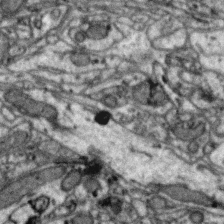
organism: Zebra finch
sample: Brain